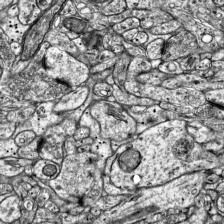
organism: Mouse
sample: Visual Cortex